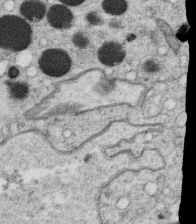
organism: C. elegans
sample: C. elegans oocyte; sperm cells